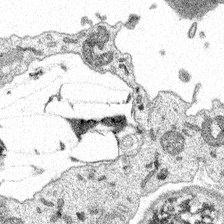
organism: Spongilla lacustris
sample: Multiple